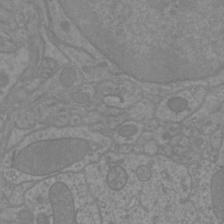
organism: Mouse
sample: Cortical neurons